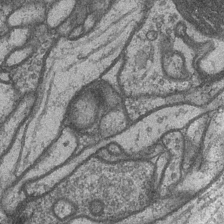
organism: Drosophila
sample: Optic medulla